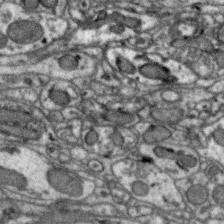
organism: Zebra finch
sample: Brain